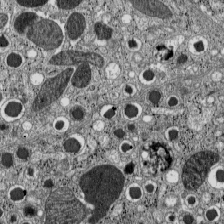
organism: C57BL Mouse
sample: Pancreatic islet